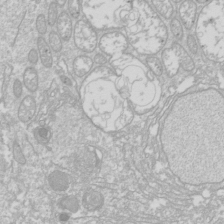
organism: Drosophila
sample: Cell division; meiosis; drosophila spermatocytes